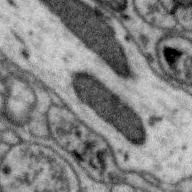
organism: Zebra finch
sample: Brain